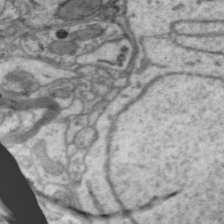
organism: Zebra finch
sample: Brain